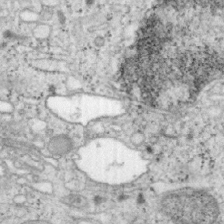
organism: Mouse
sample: OT-I killer T cells with ID8 ovarian cancer cells